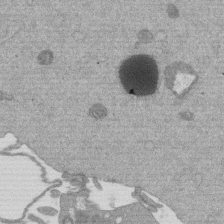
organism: Mouse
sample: Dividing mouse embryo 1 cell stage